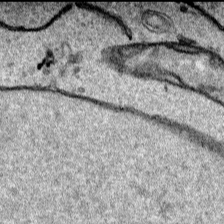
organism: Human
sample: Mitochondria in HCT116 cells